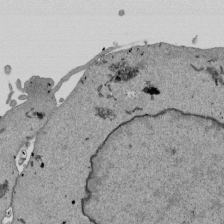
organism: Mouse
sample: ED-1 cell nuclei; centrioles